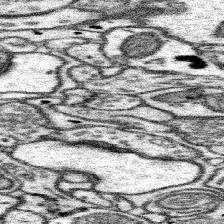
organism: Mouse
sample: Somatosensory cortex neuropil